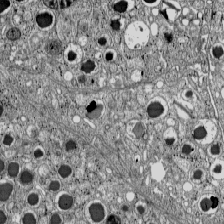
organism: C57BL Mouse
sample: Pancreatic islet